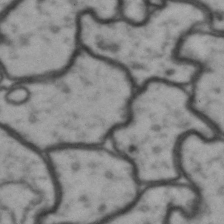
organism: Drosophila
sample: Brain